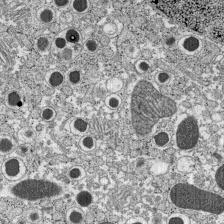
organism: C57BL Mouse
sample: Pancreatic islet